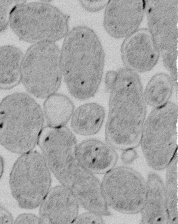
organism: E. coli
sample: Bacterial nucleoid